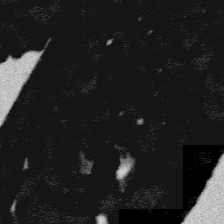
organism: Platynereis dumerilii